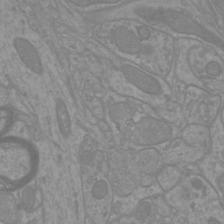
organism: Mouse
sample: Cortical neurons